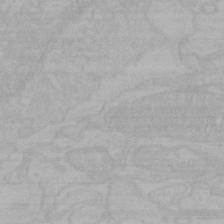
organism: Mouse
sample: Choroid plexus